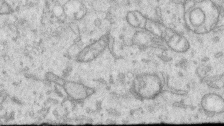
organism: Human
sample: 1205lu cells